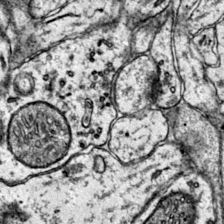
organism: Mouse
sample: Primary visual cortex